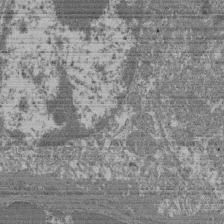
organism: Mouse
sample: Glomerulus